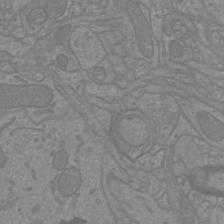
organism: Mouse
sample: Cortical neurons